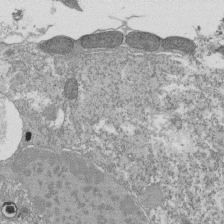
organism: Tetrahymena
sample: Cilia in tetrahymena